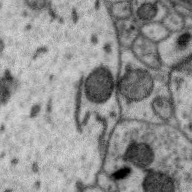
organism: Zebra finch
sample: Brain